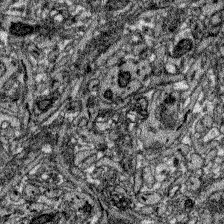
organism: Zebrafish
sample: Larval olfactory bulb